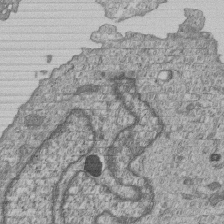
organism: Human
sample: MDA-MB-231 cells